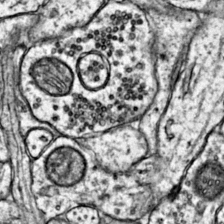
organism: Mouse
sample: Primary visual cortex